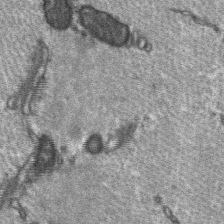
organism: C57BL Mouse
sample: Soleus